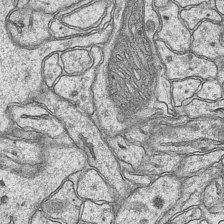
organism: Mouse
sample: CA1 Hippocampus